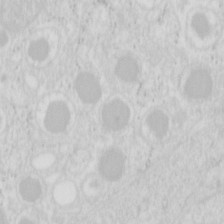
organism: Mouse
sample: Pancreas